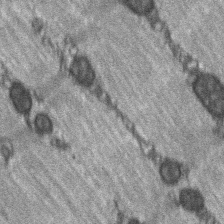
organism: C57BL Mouse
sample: Soleus